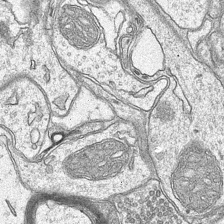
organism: Mouse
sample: CA1 Hippocampus